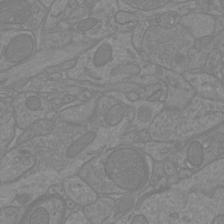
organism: Mouse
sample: Cortical neurons